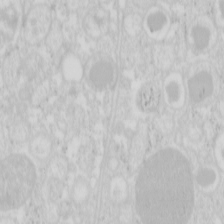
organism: Mouse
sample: Pancreas